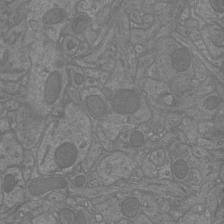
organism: Mouse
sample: Cortical neurons